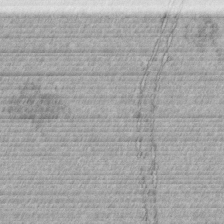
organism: C. elegans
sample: C. elegans embryo early stage